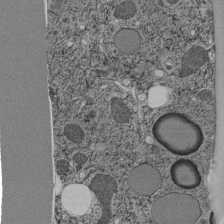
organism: C. elegans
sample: C. elegans pharynx